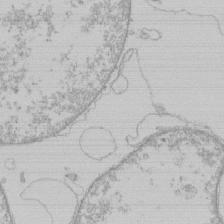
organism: Human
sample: Macrophage cells